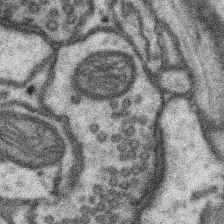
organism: Mouse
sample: Somatosensory cortex neuropil